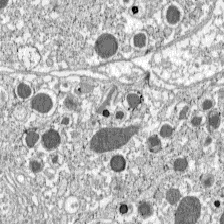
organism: C57BL Mouse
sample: Pancreatic islet